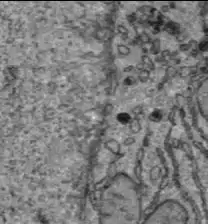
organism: C57BL Mouse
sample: Liver